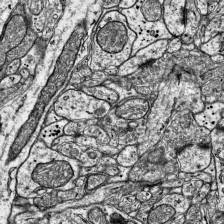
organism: Mouse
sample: Visual Cortex